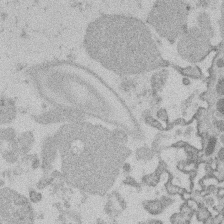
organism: Mouse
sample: Dividing mouse embryo 1 cell stage